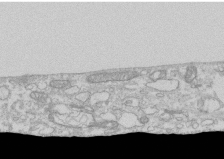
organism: Human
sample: CRL-1474